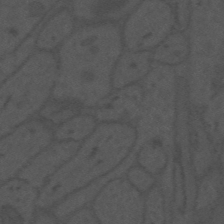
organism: Mouse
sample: Suprachiasmatic nucleus